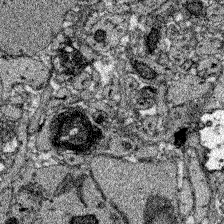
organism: Zebrafish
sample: Larval olfactory bulb